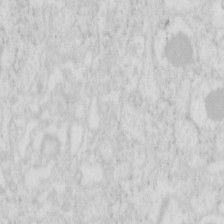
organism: Mouse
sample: Pancreas